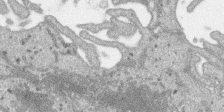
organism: Human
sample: Lung epithelial cells infected with SARS-CoV-2